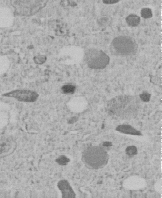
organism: C. elegans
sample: C. elegans embryo early stage